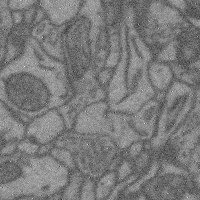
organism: Mouse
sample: Cerebral cortex